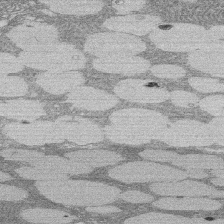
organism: Rat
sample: Salivary granule